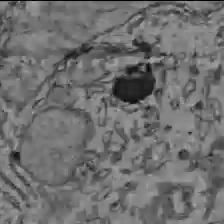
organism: C57BL Mouse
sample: Liver